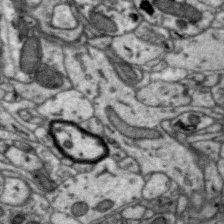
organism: Zebra finch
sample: Brain